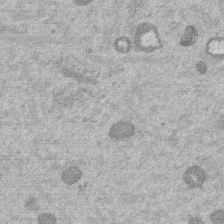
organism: Mouse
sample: Dividing mouse embryo 1 cell stage